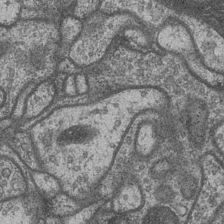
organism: Drosophila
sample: Optic medulla